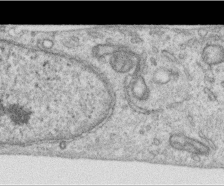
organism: Human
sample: Centriole in RPE cells